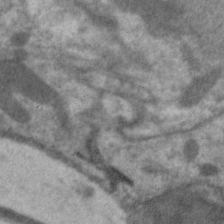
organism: C. elegans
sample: Pharynx